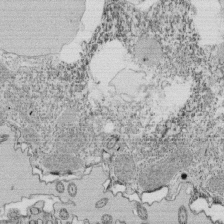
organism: Tetrahymena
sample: Cilia in tetrahymena